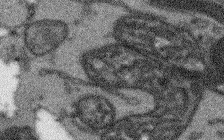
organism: Arabidopsis thaliana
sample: Root tip